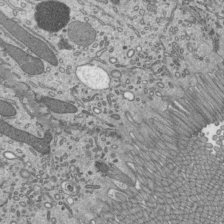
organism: Mouse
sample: Mouse epididymis efferent ductule cilia